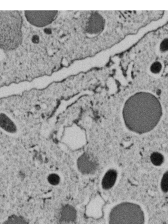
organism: C. elegans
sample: C. elegans embryo early stage